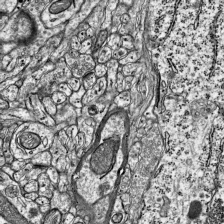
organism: Mouse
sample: Visual Cortex